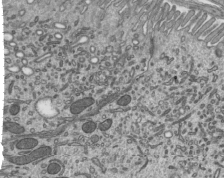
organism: Mouse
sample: Mouse epididymis efferent ductule cilia